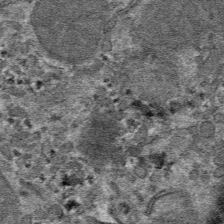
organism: Mouse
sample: Mouse hepatocytes